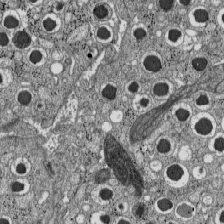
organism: C57BL Mouse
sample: Pancreatic islet